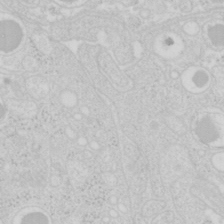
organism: Mouse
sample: Pancreas